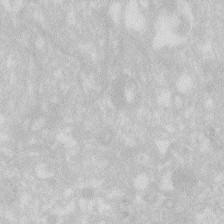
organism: Zebrafish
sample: Macrophage